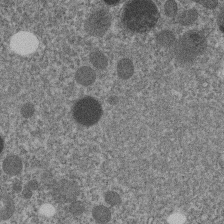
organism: C. elegans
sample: C. elegans embryo early stage